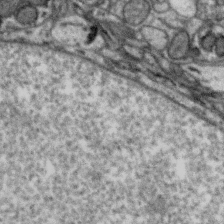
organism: Zebra finch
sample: Brain